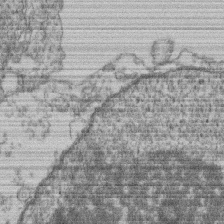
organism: Mouse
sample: T cell stromal cell synapse